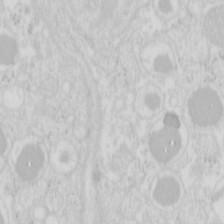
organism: Mouse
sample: Pancreas